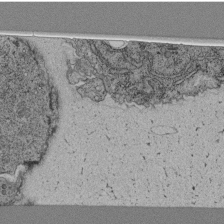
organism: C. elegans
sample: C. elegans pharynx